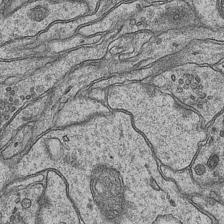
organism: Mouse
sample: CA1 Hippocampus